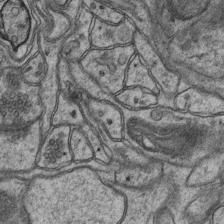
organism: Mouse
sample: CA1 Hippocampus